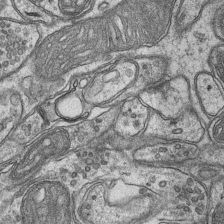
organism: Mouse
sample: CA1 Hippocampus